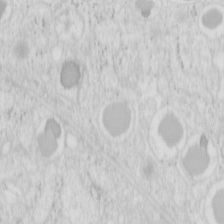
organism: Mouse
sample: Pancreas